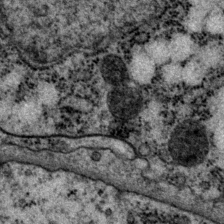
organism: P. pacificus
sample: Pharynx